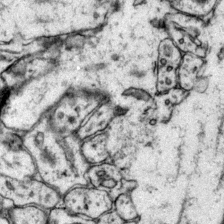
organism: Mouse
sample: Primary visual cortex